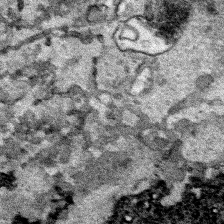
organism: Human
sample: Mitochondria in HCT116 cells